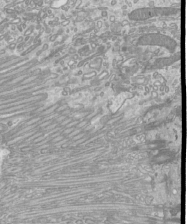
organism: Mouse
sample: Cilia; mouse epididymis